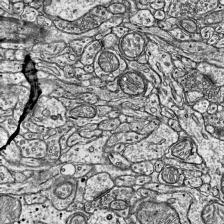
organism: Mouse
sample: Visual Cortex